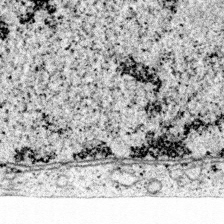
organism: Human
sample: HeLa cells